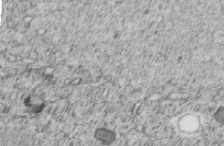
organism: C. elegans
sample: C. elegans embryo early stage